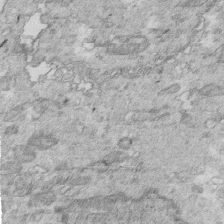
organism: Mouse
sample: Multiciliated cells